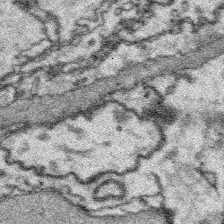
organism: Platynereis dumerilii